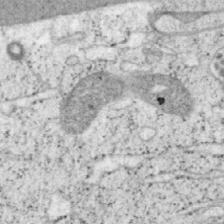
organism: Mouse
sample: OT-I killer T cells with ID8 ovarian cancer cells